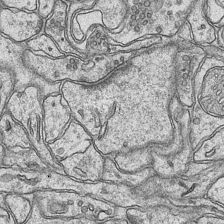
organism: Mouse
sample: CA1 Hippocampus